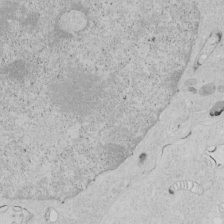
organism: Human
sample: Mitochondria in HCT116 cells